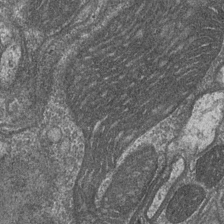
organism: Drosophila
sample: Optic medulla